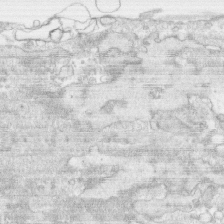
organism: Human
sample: CRL-1474